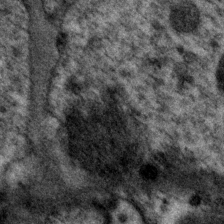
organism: P. pacificus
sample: Pharynx